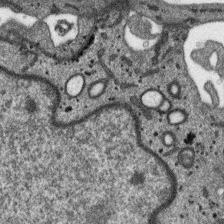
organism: Human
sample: Lung epithelial cells infected with SARS-CoV-2